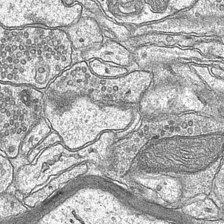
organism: Mouse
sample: CA1 Hippocampus